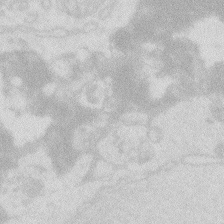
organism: Zebrafish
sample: Macrophage